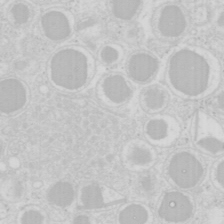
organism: Mouse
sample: Pancreas